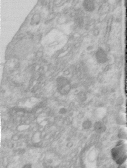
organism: Human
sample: Centriole in RPE cells